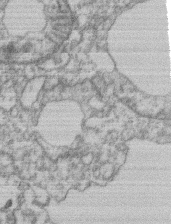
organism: Mouse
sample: T cell stromal cell synapse